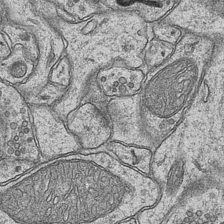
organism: Mouse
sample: CA1 Hippocampus